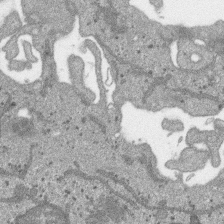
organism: Human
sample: Lung epithelial cells infected with SARS-CoV-2